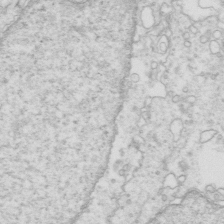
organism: Mouse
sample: Multiciliated cells